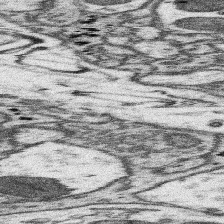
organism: Mouse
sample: Somatosensory cortex neuropil